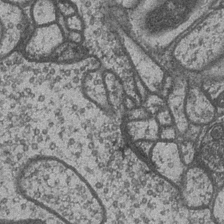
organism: Drosophila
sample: Optic medulla